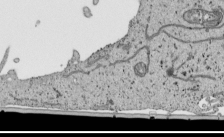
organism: Human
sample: Mitochondria in HCT116 cells